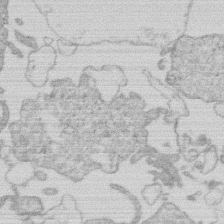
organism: Human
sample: Macrophage cells